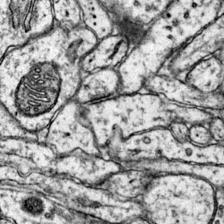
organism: Mouse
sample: Primary visual cortex